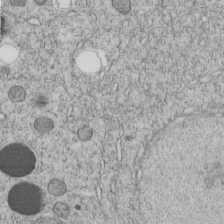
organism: C. elegans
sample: C. elegans embryo early stage